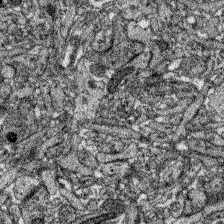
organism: Zebrafish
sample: Larval olfactory bulb